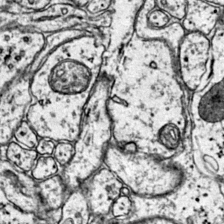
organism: Mouse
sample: Primary visual cortex